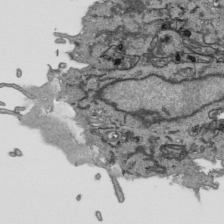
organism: Human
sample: Mitochondria in HCT116 cells